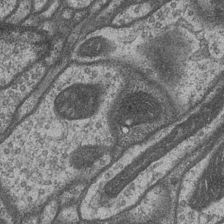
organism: Drosophila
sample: Optic medulla